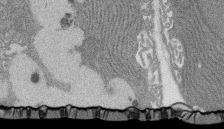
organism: Rat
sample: Salivary granule